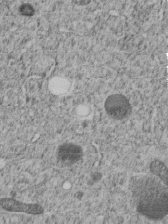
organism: C. elegans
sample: C. elegans embryo early stage